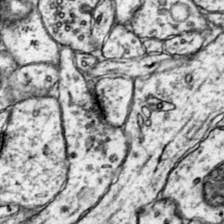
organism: Mouse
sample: Primary visual cortex